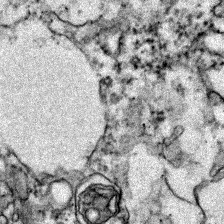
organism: Zebrafish